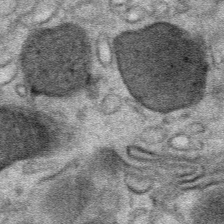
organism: Mouse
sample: Mouse Salivary gland